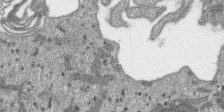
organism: Human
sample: Lung epithelial cells infected with SARS-CoV-2